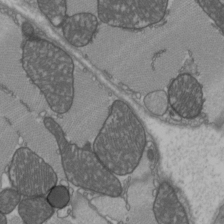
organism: C57BL Mouse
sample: Heart